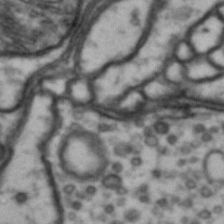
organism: Drosophila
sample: Brain